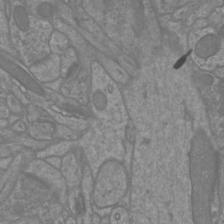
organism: Mouse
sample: Cortical neurons